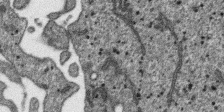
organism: Human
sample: Lung epithelial cells infected with SARS-CoV-2